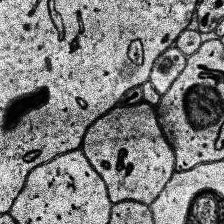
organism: Human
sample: Temporal Lobe